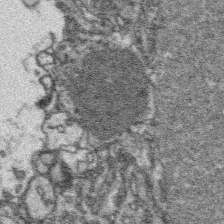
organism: Platynereis dumerilii